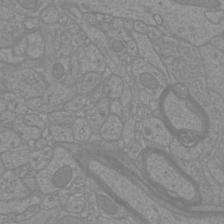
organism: Mouse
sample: Cortical neurons